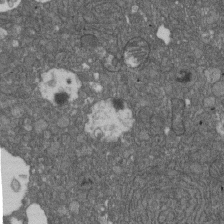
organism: Drosophila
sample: Nephrocyte